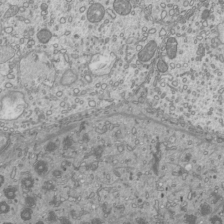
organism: Mouse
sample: Cilia; mouse epididymis